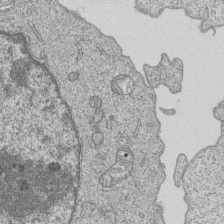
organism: Human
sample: MDA-MB-231 cells